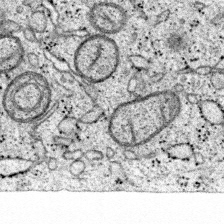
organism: Human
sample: HeLa cells